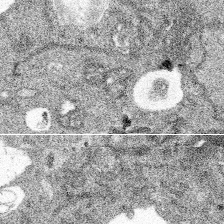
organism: Spongilla lacustris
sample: Multiple